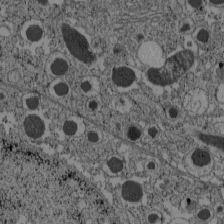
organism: C57BL Mouse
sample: Pancreatic islet